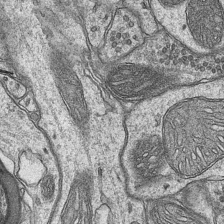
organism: Mouse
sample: CA1 Hippocampus